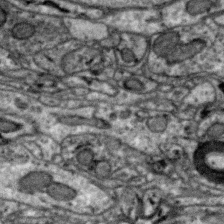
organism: Zebra finch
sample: Brain